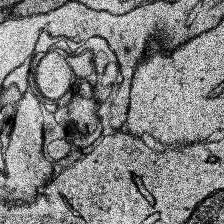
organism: Human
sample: Temporal Lobe